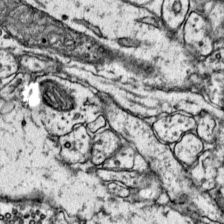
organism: Mouse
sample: Primary visual cortex